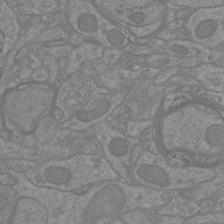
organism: Mouse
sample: Cortical neurons